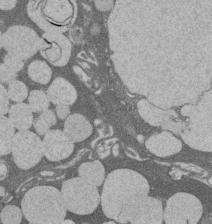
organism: Rat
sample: Salivary granule